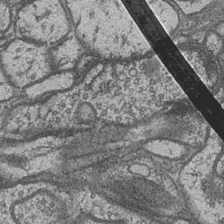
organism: Drosophila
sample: Optic medulla